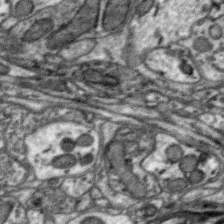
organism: Zebra finch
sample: Brain